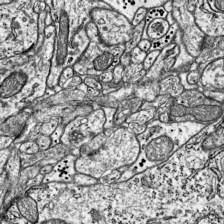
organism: Mouse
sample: Visual Cortex